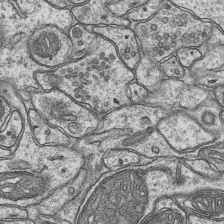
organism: Mouse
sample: CA1 Hippocampus